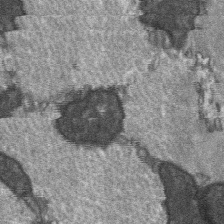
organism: C57BL Mouse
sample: Soleus